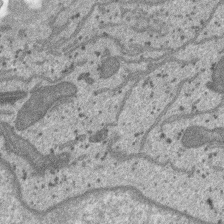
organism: Human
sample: Lung epithelial cells infected with SARS-CoV-2